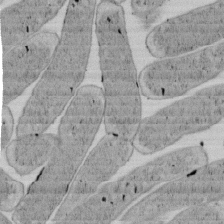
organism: E. coli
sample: Bacterial nucleoid